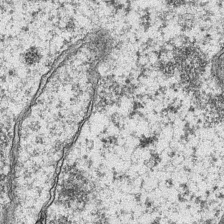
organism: Mouse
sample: CA1 Hippocampus